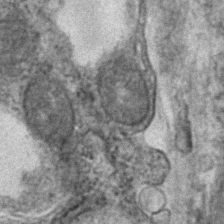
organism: Human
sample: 1205lu cells